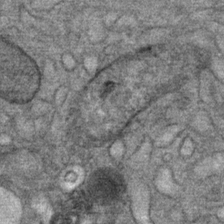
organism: Mouse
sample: Mouse Salivary gland